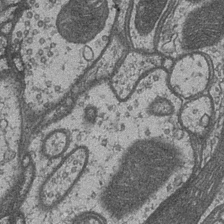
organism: Drosophila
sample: Optic medulla